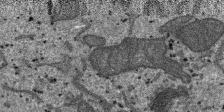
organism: Human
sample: Lung epithelial cells infected with SARS-CoV-2